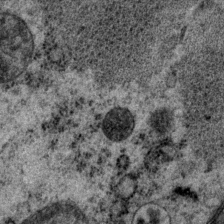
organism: P. pacificus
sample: Pharynx